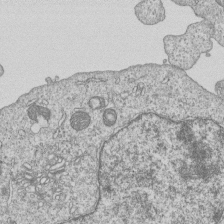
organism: Human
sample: MDA-MB-231 cells